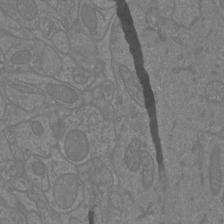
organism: Mouse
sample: Cortical neurons